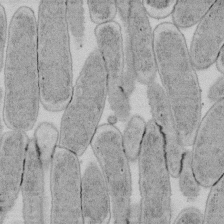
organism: E. coli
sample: Bacterial nucleoid